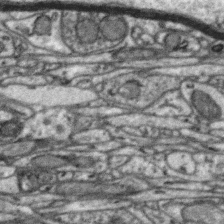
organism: Zebra finch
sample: Brain